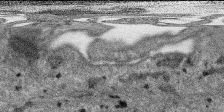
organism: Human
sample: Lung epithelial cells infected with SARS-CoV-2